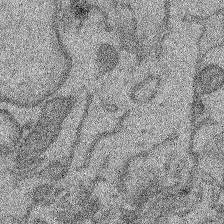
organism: Human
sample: HeLa cells